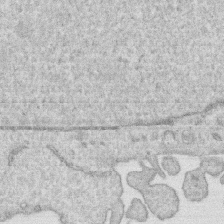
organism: Human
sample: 1205lu cells